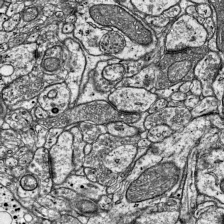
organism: Mouse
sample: Visual Cortex